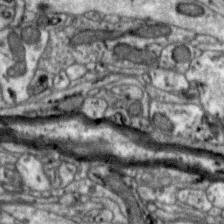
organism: Zebra finch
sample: Brain